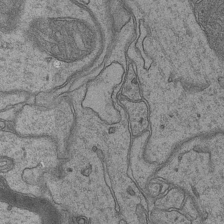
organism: Mouse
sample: CA1 Hippocampus